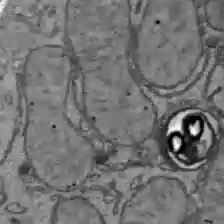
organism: C57BL Mouse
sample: Liver